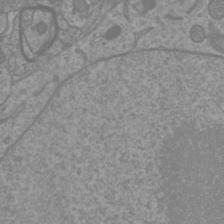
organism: Mouse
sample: Cortical neurons